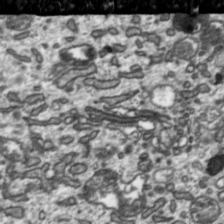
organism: Toxoplasma gondii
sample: Parasites in a vacuole inside a host cell